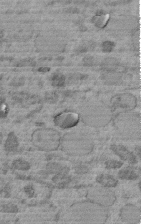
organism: C. elegans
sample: C. elegans embryo early stage